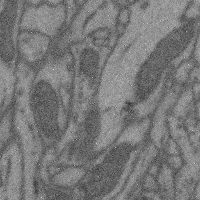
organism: Mouse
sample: Cerebral cortex